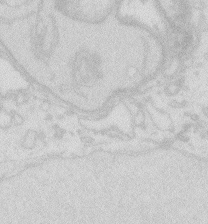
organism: Zebrafish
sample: Macrophage